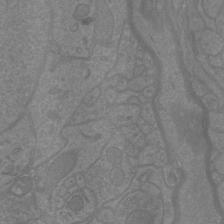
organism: Mouse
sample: Cortical neurons